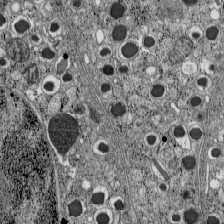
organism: C57BL Mouse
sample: Pancreatic islet